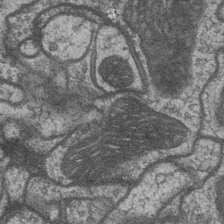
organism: Drosophila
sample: Optic medulla